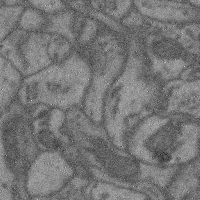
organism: Mouse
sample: Cerebral cortex